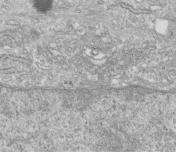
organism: Human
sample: Centriole in fibroblast cells